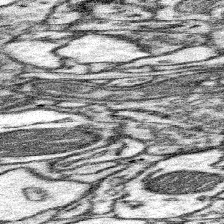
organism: Mouse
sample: Somatosensory cortex neuropil